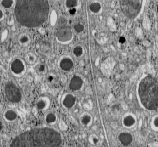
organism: C57BL Mouse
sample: Pancreatic islet